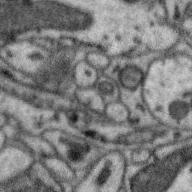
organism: Zebra finch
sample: Brain